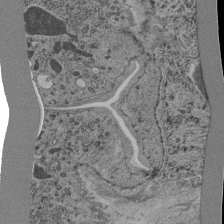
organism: C. elegans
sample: C. elegans pharynx